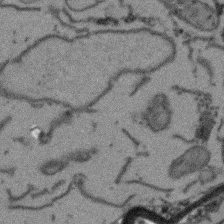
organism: Arabidopsis thaliana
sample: Root tip